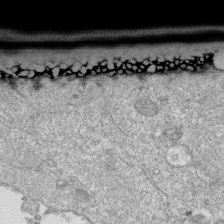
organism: Human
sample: HeLa cell HIV synapse